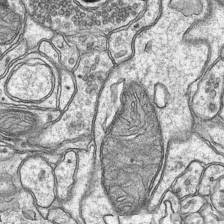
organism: Mouse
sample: CA1 Hippocampus